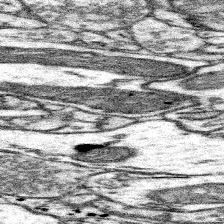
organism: Mouse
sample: Somatosensory cortex neuropil